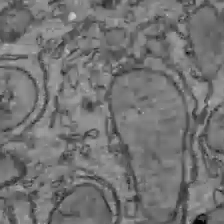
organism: C57BL Mouse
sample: Liver